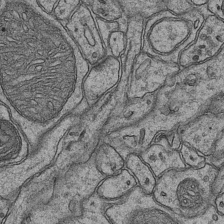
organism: Mouse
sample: CA1 Hippocampus